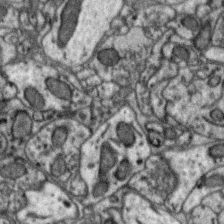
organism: Zebra finch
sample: Brain